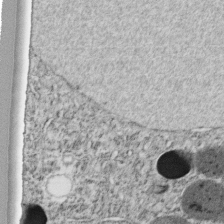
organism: C. elegans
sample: C. elegans embryo early stage